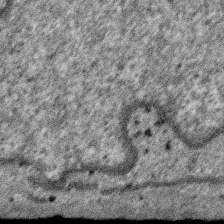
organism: Human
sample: Lung epithelial cells infected with SARS-CoV-2